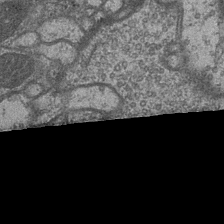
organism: Drosophila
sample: Optic medulla